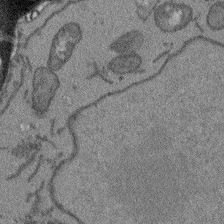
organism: Arabidopsis thaliana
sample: Root tip